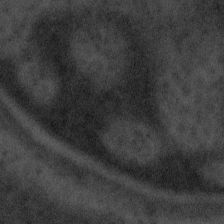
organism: Tuwongella immobilis